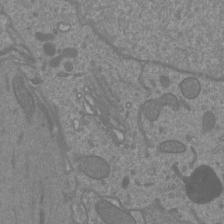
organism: Mouse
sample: Cortical neurons